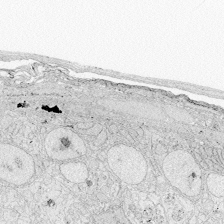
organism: Zebrafish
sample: Whole-Brain